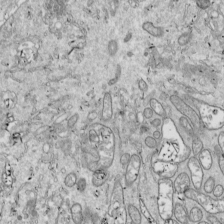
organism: Drosophila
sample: Cell division; meiosis; drosophila spermatocytes